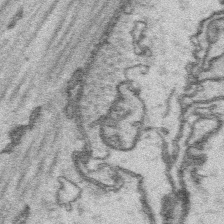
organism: Platynereis dumerilii